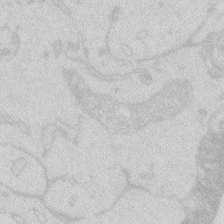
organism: Zebrafish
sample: Macrophage